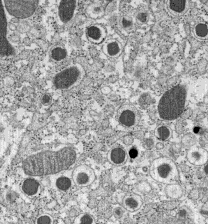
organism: C57BL Mouse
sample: Pancreatic islet